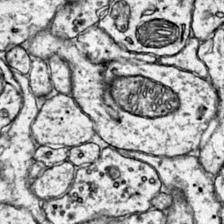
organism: Mouse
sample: Primary visual cortex